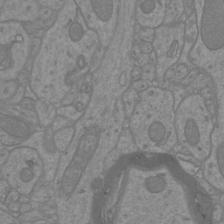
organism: Mouse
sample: Cortical neurons